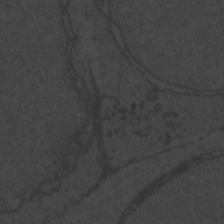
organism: Zebrafish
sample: Macrophage infected with Toxoplasma gondii